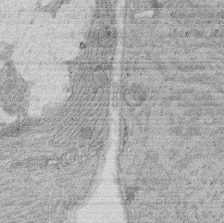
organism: Rat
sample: Salivary granule